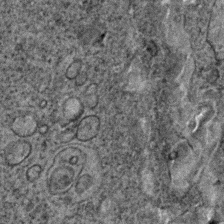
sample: Trachea